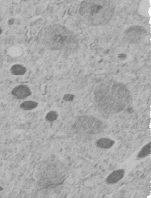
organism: C. elegans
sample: C. elegans embryo early stage